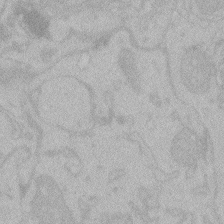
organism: Zebrafish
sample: Macrophage infected with Toxoplasma gondii